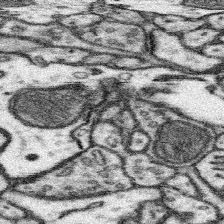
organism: Mouse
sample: Somatosensory cortex neuropil